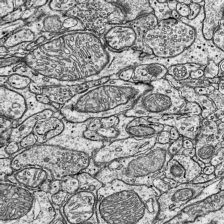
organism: Mouse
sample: Visual Cortex